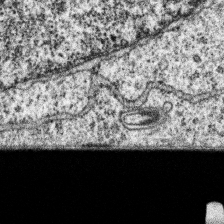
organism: Human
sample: HeLa cells